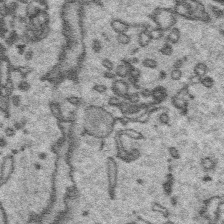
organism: Platynereis dumerilii